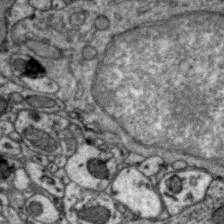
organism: Zebra finch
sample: Brain